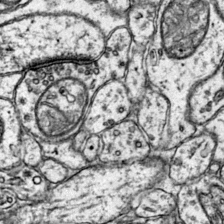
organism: Mouse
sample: Primary visual cortex